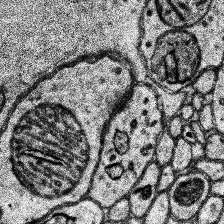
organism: Human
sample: Temporal Lobe